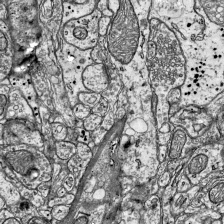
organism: Mouse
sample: Visual Cortex